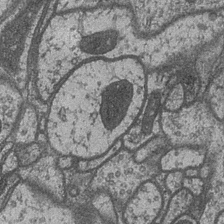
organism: Drosophila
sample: Optic medulla